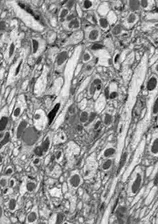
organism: Drosophila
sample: Optic lobe